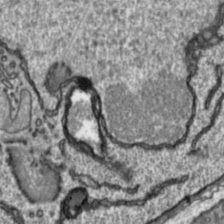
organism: Toxoplasma gondii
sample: Parasites in a vacuole inside a host cell